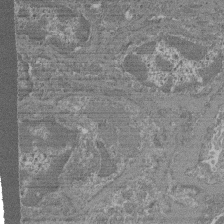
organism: Mouse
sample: Glomerulus